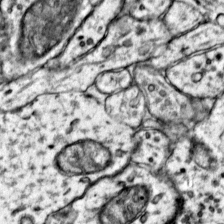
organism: Mouse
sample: Primary visual cortex